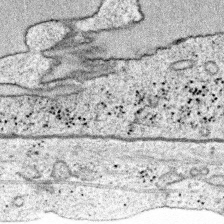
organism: Human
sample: HeLa cells